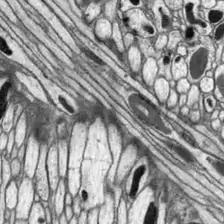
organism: Drosophila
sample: Optic lobe